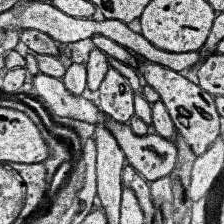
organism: Human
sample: Temporal Lobe